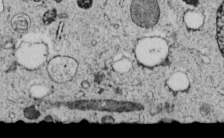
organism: C. elegans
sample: C. elegans embryo early stage